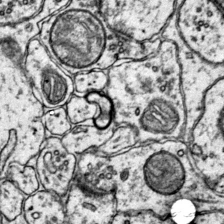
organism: Mouse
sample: Primary visual cortex